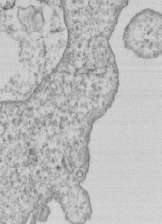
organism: Human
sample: MDA-MB-231 cells